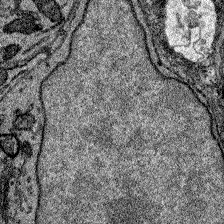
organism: Zebrafish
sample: Larval olfactory bulb